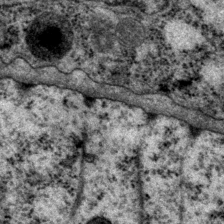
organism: P. pacificus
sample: Pharynx